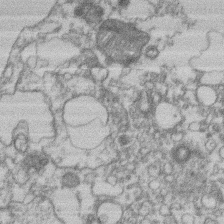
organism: Mouse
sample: T cell stromal cell synapse